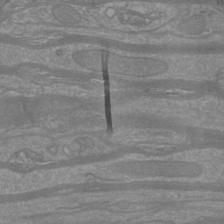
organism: Mouse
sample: Cortical neurons